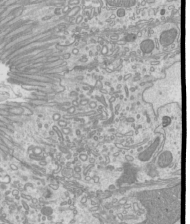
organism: Mouse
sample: Cilia; mouse epididymis